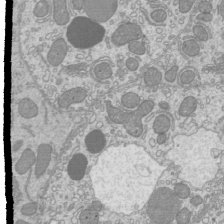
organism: Mouse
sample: Cilia; mouse epididymis